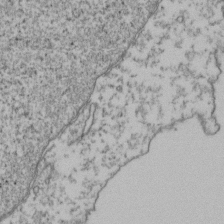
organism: Human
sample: Activated Jurkat CD4+ T cells